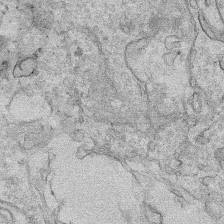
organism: Human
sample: Mitochondria in HCT116 cells